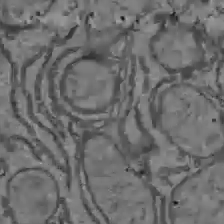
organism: C57BL Mouse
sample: Liver